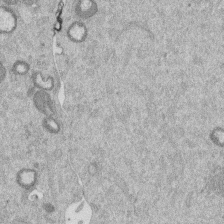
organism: Mouse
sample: Dividing mouse embryo 1 cell stage